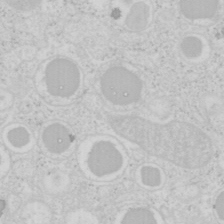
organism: Mouse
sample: Pancreas